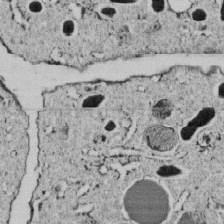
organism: C. elegans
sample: C. elegans embryo early stage